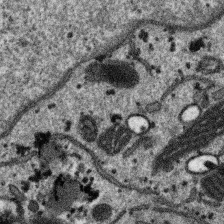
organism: Human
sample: Lung epithelial cells infected with SARS-CoV-2